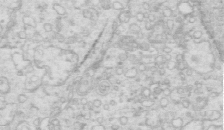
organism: Mouse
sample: Multiciliated cells